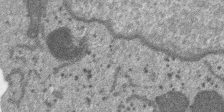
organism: Human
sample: Lung epithelial cells infected with SARS-CoV-2